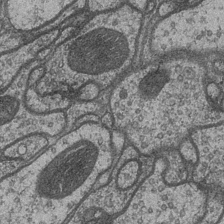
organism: Drosophila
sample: Optic medulla